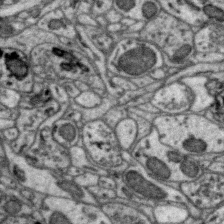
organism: Zebra finch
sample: Brain